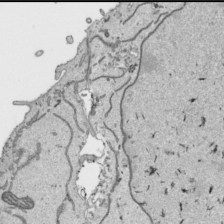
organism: Human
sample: Mitochondria in HCT116 cells